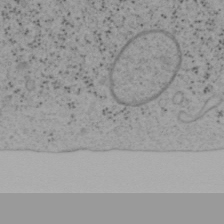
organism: Human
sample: HeLa cells